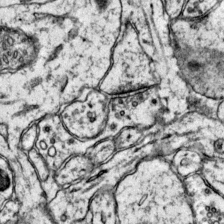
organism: Mouse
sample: Primary visual cortex